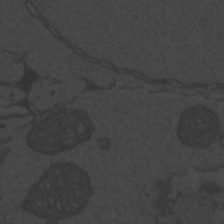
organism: Zebrafish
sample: Macrophage infected with Toxoplasma gondii